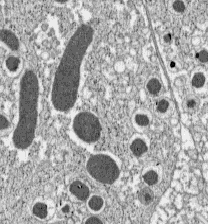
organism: C57BL Mouse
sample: Pancreatic islet